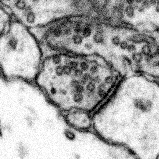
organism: Mouse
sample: Somatosensory cortex neuropil